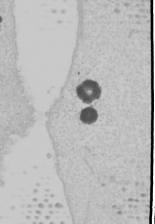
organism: Human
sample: Mitochondria in U2OS cells